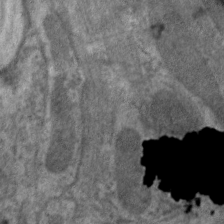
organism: C. elegans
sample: Pharynx